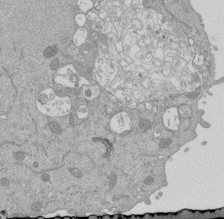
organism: Mouse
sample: ED-1 cell nuclei; centrioles